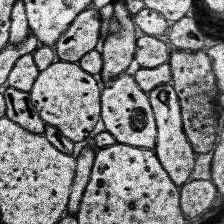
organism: Human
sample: Temporal Lobe